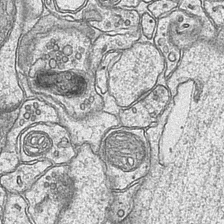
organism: Mouse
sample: CA1 Hippocampus